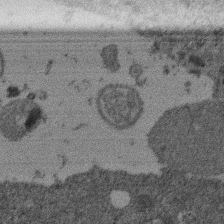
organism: Mouse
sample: Dividing mouse embryo 1 cell stage